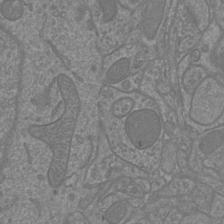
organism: Mouse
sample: Cortical neurons